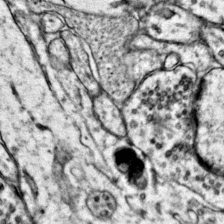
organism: Mouse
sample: Primary visual cortex